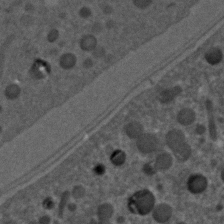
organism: C. elegans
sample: C. elegans embryo